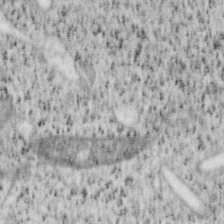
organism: Mouse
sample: OT-I killer T cells with ID8 ovarian cancer cells